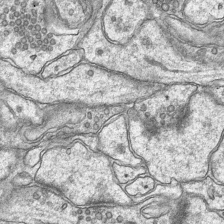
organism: Mouse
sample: CA1 Hippocampus